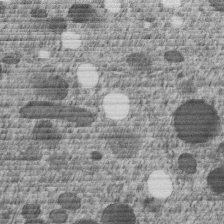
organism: C. elegans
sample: C. elegans embryo early stage